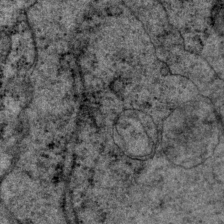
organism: P. pacificus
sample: Pharynx